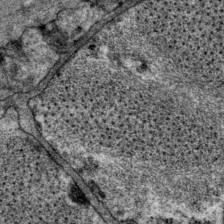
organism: P. pacificus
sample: Pharynx